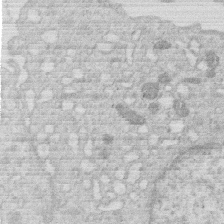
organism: Human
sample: Macrophage cells